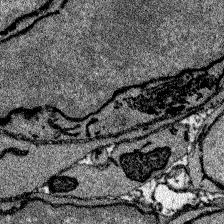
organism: Zebrafish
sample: Larval olfactory bulb